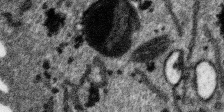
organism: Human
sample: Lung epithelial cells infected with SARS-CoV-2